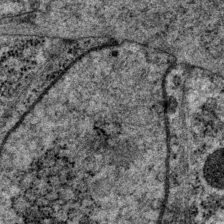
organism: P. pacificus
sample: Pharynx